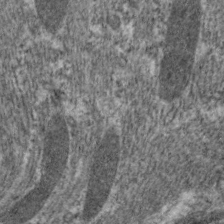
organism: C. elegans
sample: Pharynx